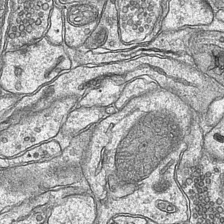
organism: Mouse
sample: CA1 Hippocampus